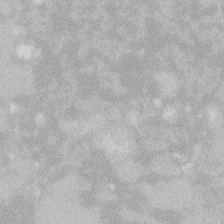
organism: Zebrafish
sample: Macrophage